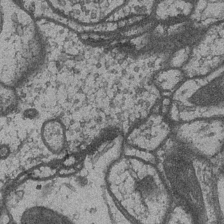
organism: Drosophila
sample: Optic medulla